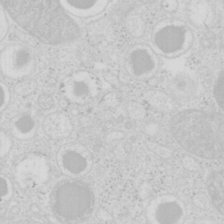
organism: Mouse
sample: Pancreas